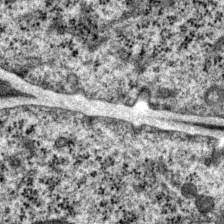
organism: P. pacificus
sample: Pharynx